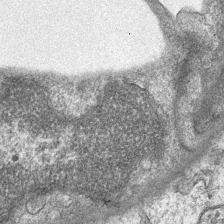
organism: Mouse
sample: CA1 Hippocampus